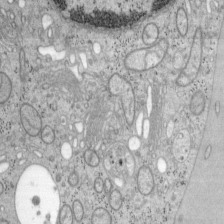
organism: Mouse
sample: OT-I killer T cells with ID8 ovarian cancer cells